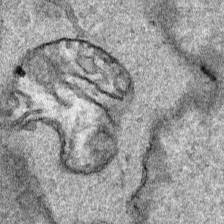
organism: Human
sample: Mitochondria in HCT116 cells